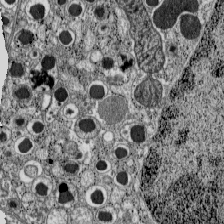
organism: C57BL Mouse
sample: Pancreatic islet